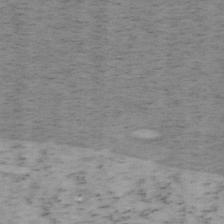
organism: Mouse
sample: OT-I killer T cells with ID8 ovarian cancer cells